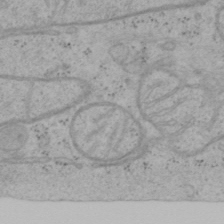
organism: Human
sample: HeLa cells